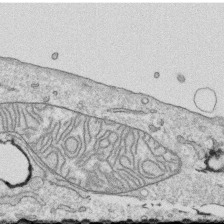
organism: Human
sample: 1205lu cells